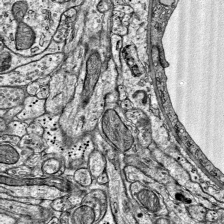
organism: Mouse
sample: Visual Cortex